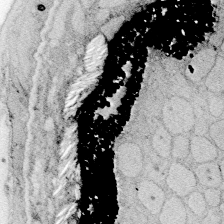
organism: Zebrafish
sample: Whole-Brain